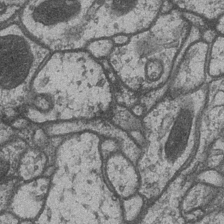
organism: Drosophila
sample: Optic medulla